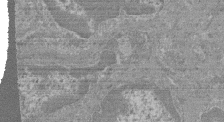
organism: Mouse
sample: Glomerulus